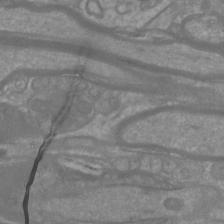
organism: Mouse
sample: Cortical neurons